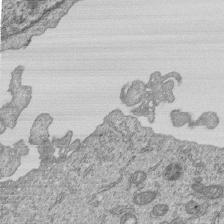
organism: Human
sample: MDA-MB-231 cells